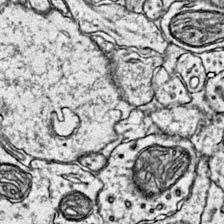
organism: Mouse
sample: Primary visual cortex